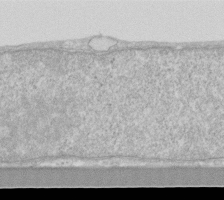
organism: Human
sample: Fibroblast cells